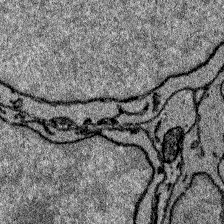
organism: Zebrafish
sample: Larval olfactory bulb